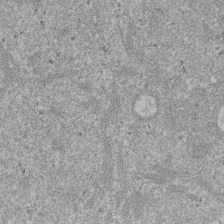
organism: Mouse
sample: Dividing mouse embryo 1 cell stage